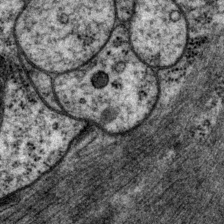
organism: P. pacificus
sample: Pharynx